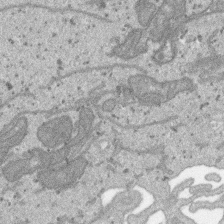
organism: Human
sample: Lung epithelial cells infected with SARS-CoV-2